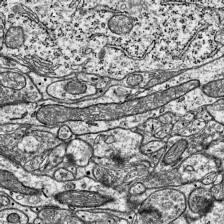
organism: Mouse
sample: Visual Cortex